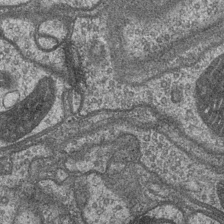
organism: Drosophila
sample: Optic medulla